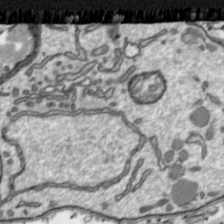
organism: Toxoplasma gondii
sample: Parasites in a vacuole inside a host cell